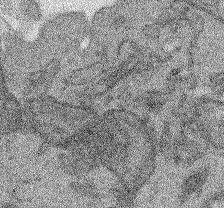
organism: Human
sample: HeLa cells